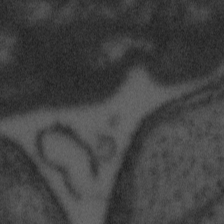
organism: Tuwongella immobilis